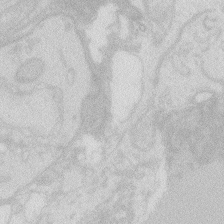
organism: Zebrafish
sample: Macrophage